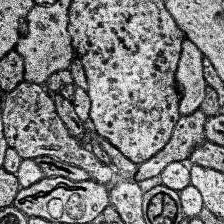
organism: Human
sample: Temporal Lobe